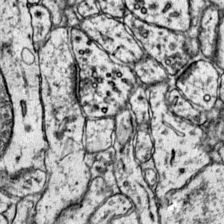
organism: Mouse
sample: Primary visual cortex